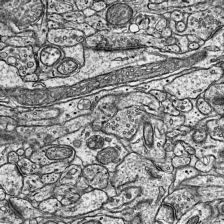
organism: Mouse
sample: Visual Cortex